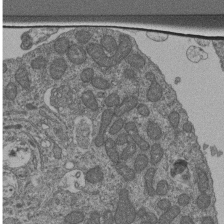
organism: Human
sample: Retinal organoid Rod and Cone cells